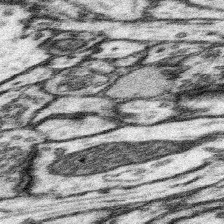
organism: Mouse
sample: Somatosensory cortex neuropil